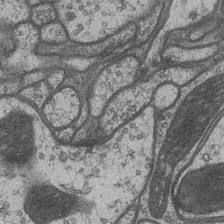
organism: Drosophila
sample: Optic medulla